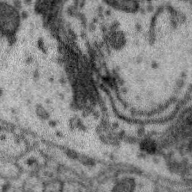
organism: Zebra finch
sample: Brain